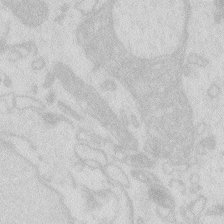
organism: Zebrafish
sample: Macrophage